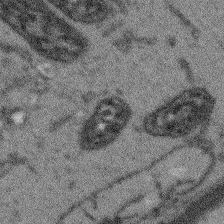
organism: Arabidopsis thaliana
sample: Root tip